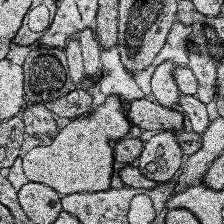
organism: Human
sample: Temporal Lobe